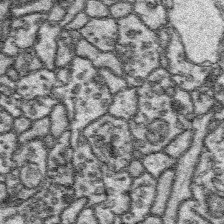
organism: Platynereis dumerilii